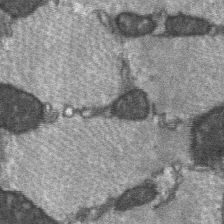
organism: C57BL Mouse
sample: Soleus